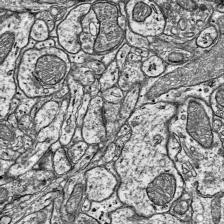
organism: Mouse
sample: Visual Cortex